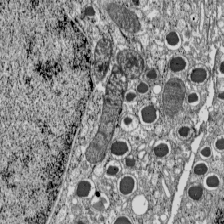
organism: C57BL Mouse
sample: Pancreatic islet